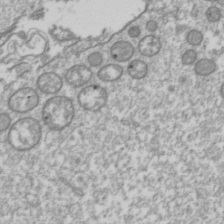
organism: Drosophila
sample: Cell division; meiosis; drosophila spermatocytes